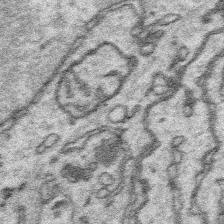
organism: Platynereis dumerilii